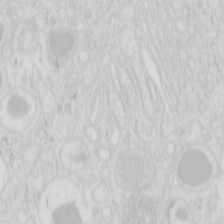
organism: Mouse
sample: Pancreas